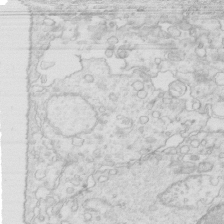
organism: Mouse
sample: Multiciliated cells